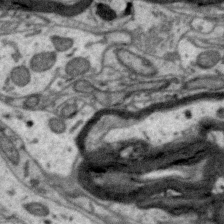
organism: Zebra finch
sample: Brain